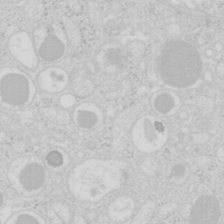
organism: Mouse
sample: Pancreas